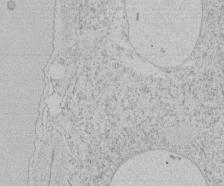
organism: Tetrahymena